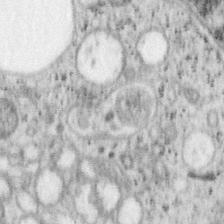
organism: Mouse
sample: OT-I killer T cells with ID8 ovarian cancer cells